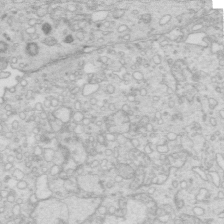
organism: Mouse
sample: Multiciliated cells